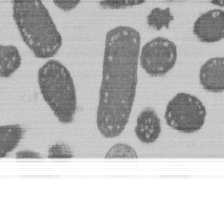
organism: E. coli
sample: Bacterial nucleoid